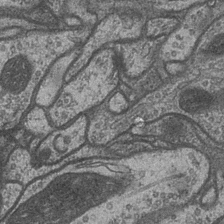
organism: Drosophila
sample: Optic medulla